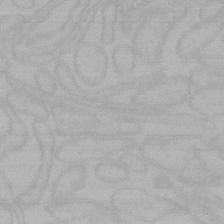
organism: Mouse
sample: Choroid plexus